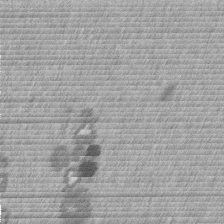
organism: Mouse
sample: Dividing mouse embryo 1 cell stage